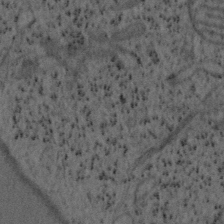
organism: Human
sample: HeLa cells